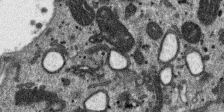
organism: Human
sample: Lung epithelial cells infected with SARS-CoV-2